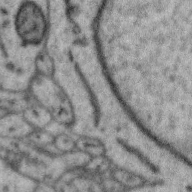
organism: Zebra finch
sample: Brain